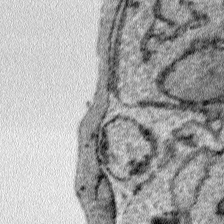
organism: Plasmodium falciparum